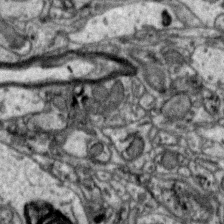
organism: Zebra finch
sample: Brain